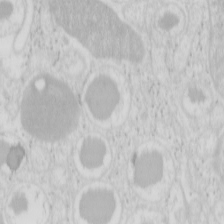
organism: Mouse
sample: Pancreas